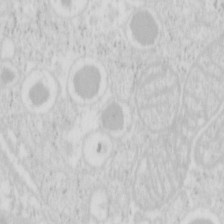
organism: Mouse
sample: Pancreas